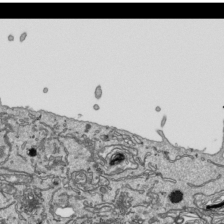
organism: Human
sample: Mitochondria in HCT116 cells